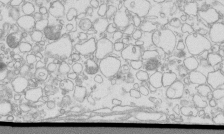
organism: Mouse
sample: Macrophages